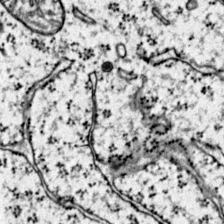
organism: Mouse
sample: Primary visual cortex